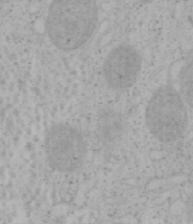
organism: Mouse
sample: OT-I killer T cells with ID8 ovarian cancer cells